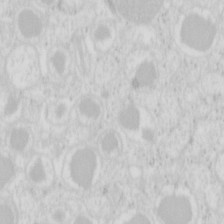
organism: Mouse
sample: Pancreas